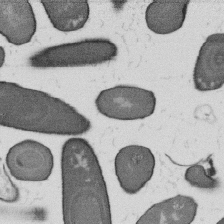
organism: B. subtilis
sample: Bacterial spore